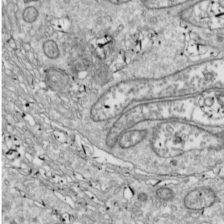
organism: Drosophila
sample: Cell division; meiosis; drosophila spermatocytes